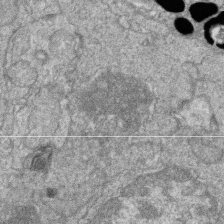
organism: Zebrafish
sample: Cilia; retinal pigment epithelium